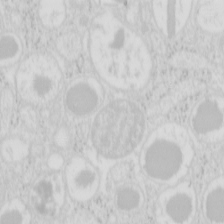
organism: Mouse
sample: Pancreas